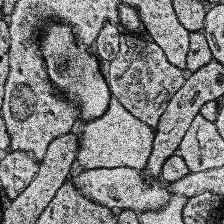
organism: Human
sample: Temporal Lobe